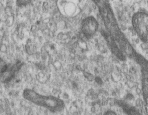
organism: Human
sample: Centriole in RPE cells